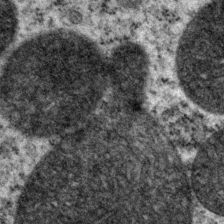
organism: P. pacificus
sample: Pharynx